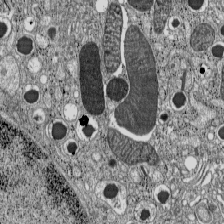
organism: C57BL Mouse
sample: Pancreatic islet